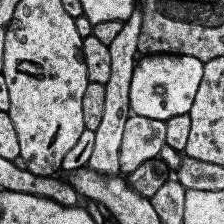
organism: Human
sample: Temporal Lobe